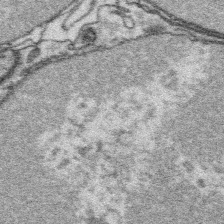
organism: Platynereis dumerilii